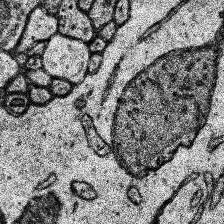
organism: Human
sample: Temporal Lobe